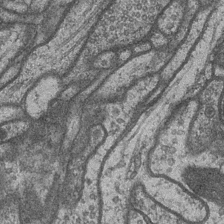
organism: Drosophila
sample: Optic medulla